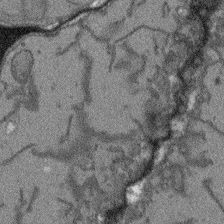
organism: Arabidopsis thaliana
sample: Root tip